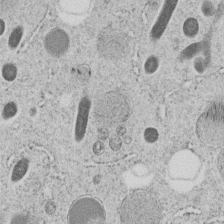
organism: C. elegans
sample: C. elegans embryo early stage